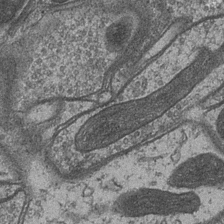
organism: Drosophila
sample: Optic medulla